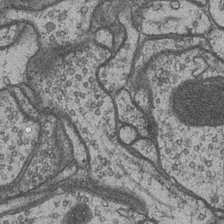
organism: Drosophila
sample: Optic medulla